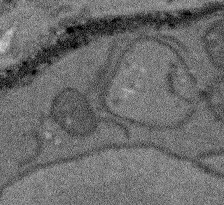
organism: Arabidopsis thaliana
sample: Root tip